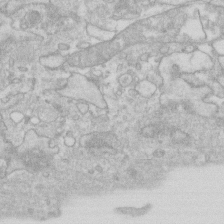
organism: Human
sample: Fibroblast cells